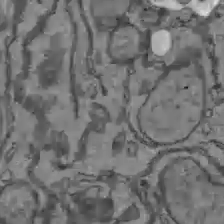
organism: C57BL Mouse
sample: Liver